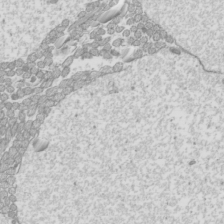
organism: Mouse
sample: Cilia; mouse epididymis